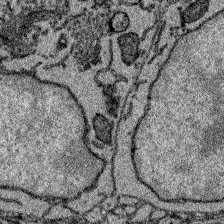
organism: Zebrafish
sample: Larval olfactory bulb